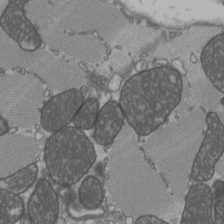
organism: C57BL Mouse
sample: Heart